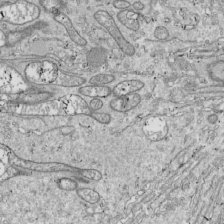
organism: Drosophila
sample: Cell division; meiosis; drosophila spermatocytes